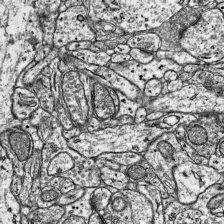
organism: Mouse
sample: Visual Cortex